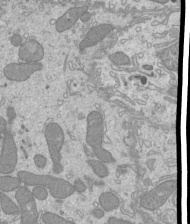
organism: Mouse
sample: Cilia; mouse epididymis